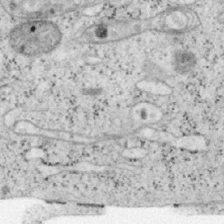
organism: Mouse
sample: OT-I killer T cells with ID8 ovarian cancer cells